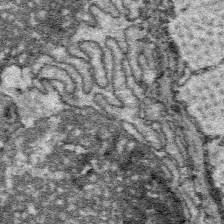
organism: Platynereis dumerilii